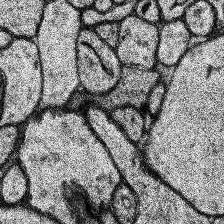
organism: Human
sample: Temporal Lobe